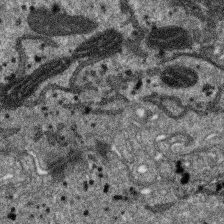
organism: Human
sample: Lung epithelial cells infected with SARS-CoV-2